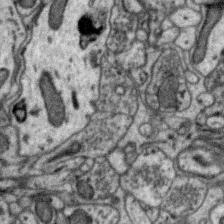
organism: Zebra finch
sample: Brain